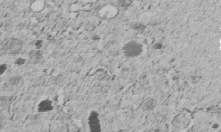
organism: C. elegans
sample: C. elegans embryo early stage